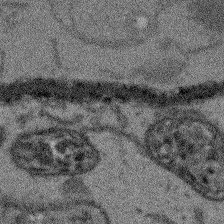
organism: Arabidopsis thaliana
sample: Root tip